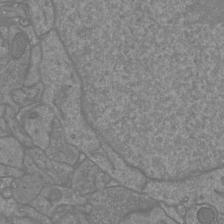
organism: Mouse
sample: Cortical neurons